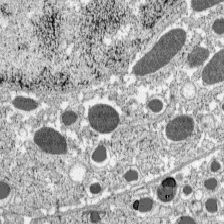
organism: C57BL Mouse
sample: Pancreatic islet